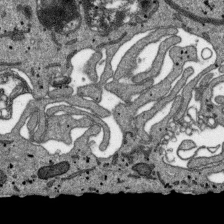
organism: Human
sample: Lung epithelial cells, uninfected (mock) control